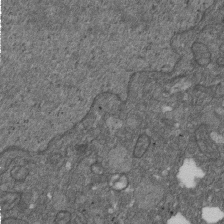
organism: Drosophila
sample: Nephrocyte